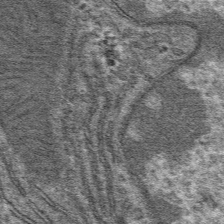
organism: Mouse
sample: Mouse hepatocytes